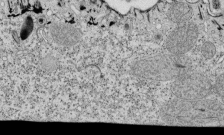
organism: Tetrahymena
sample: Cilia in tetrahymena